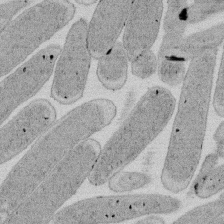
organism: E. coli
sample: Bacterial nucleoid